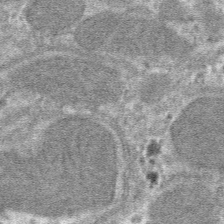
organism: Mouse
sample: Mouse hepatocytes